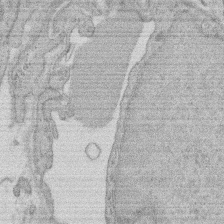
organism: Rat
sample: Salivary granule